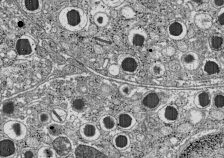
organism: C57BL Mouse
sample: Pancreatic islet